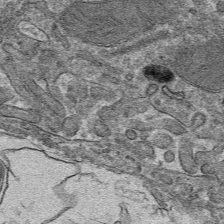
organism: Mouse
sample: Mouse hepatocytes